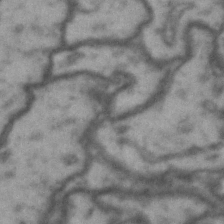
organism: Drosophila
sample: Brain